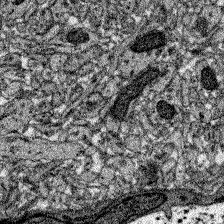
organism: Zebrafish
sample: Larval olfactory bulb